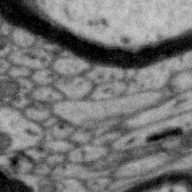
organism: Zebra finch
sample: Brain